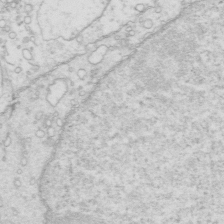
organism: Mouse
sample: Multiciliated cells